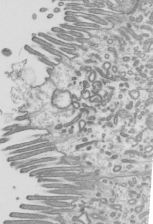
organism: Mouse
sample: Mouse epididymis efferent ductule cilia